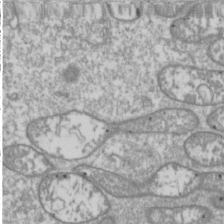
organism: Drosophila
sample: Cell division; meiosis; drosophila spermatocytes